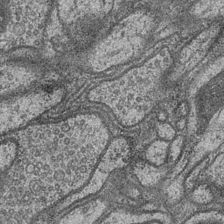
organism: Drosophila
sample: Optic medulla